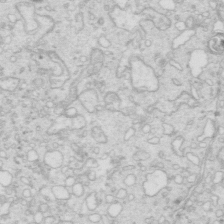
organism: Mouse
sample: Multiciliated cells